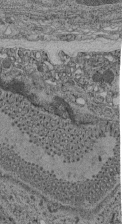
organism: C. elegans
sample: C. elegans pharynx